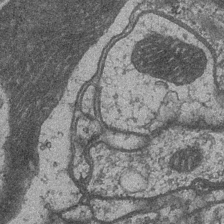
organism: Drosophila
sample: Optic medulla